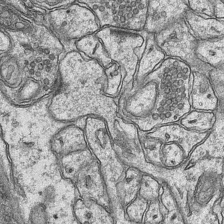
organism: Mouse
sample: CA1 Hippocampus